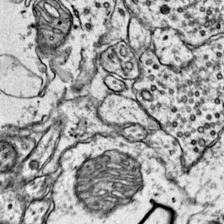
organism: Mouse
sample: Primary visual cortex